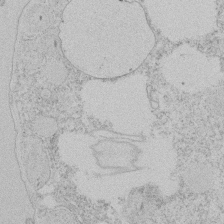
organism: Tetrahymena